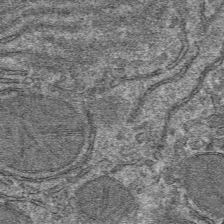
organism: Mouse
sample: Mouse hepatocytes